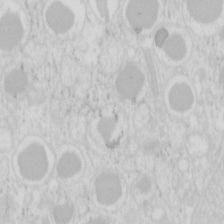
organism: Mouse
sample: Pancreas